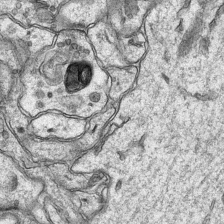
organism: Mouse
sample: CA1 Hippocampus